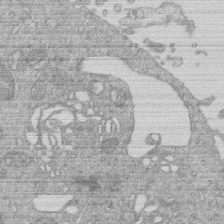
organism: Human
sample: Macrophage cells